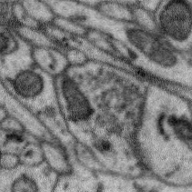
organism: Zebra finch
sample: Brain